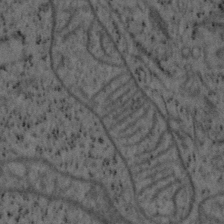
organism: Human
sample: HeLa cells